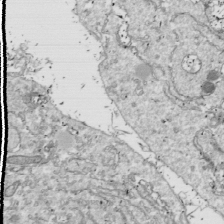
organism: Drosophila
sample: Cell division; meiosis; drosophila spermatocytes